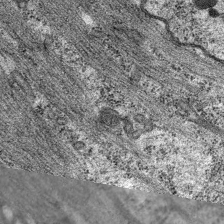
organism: C. elegans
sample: Pharynx